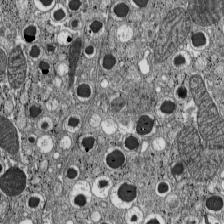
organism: C57BL Mouse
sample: Pancreatic islet